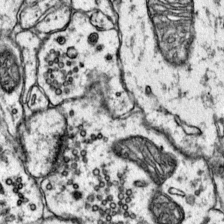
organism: Mouse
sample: Primary visual cortex